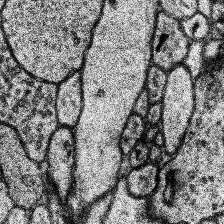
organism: Human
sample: Temporal Lobe